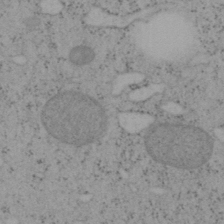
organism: Mouse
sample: OT-I killer T cells with ID8 ovarian cancer cells